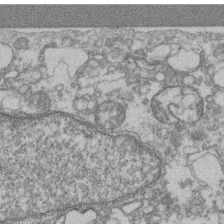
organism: Mouse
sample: T cell stromal cell synapse